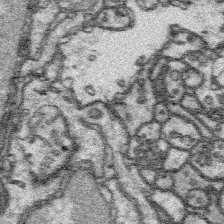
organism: Platynereis dumerilii